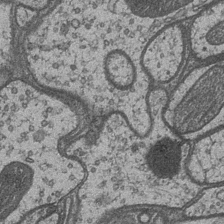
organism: Drosophila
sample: Optic medulla